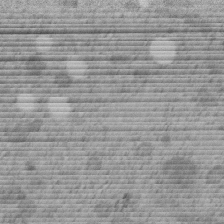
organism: C. elegans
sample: C. elegans embryo early stage